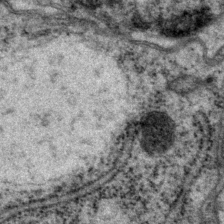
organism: P. pacificus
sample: Pharynx